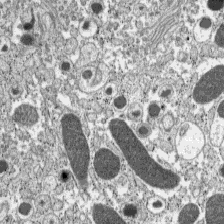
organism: C57BL Mouse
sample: Pancreatic islet